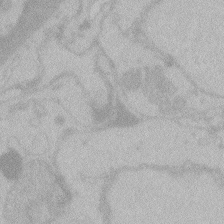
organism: Zebrafish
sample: Macrophage infected with Toxoplasma gondii